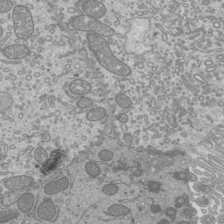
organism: Mouse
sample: Cilia; mouse epididymis